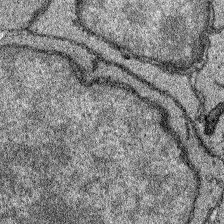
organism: Zebrafish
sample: Larval olfactory bulb